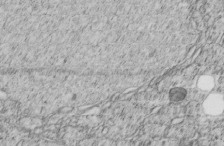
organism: C. elegans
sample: C. elegans embryo early stage